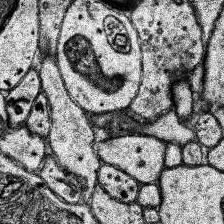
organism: Human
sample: Temporal Lobe